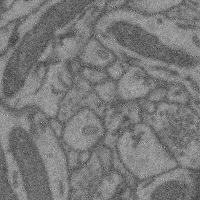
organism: Mouse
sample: Cerebral cortex